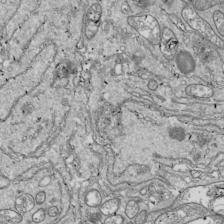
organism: Drosophila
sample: Cell division; meiosis; drosophila spermatocytes